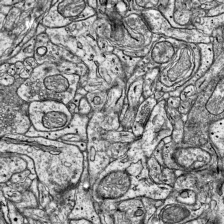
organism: Mouse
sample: Visual Cortex